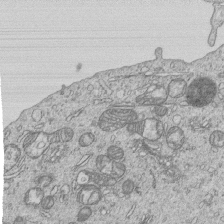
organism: Human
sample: MDA-MB-231 cells